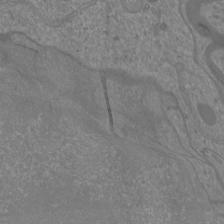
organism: Mouse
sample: Cortical neurons